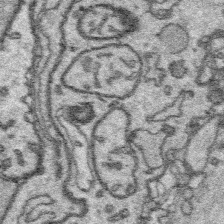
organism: Platynereis dumerilii